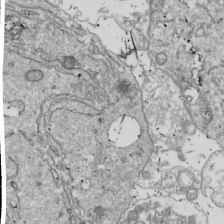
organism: Drosophila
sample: Cell division; meiosis; drosophila spermatocytes